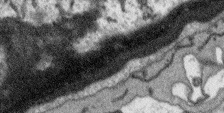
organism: Arabidopsis thaliana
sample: Root tip